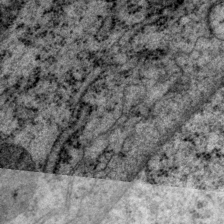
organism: P. pacificus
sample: Pharynx